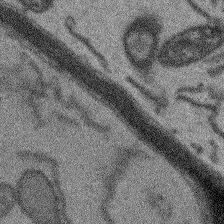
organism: Arabidopsis thaliana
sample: Root tip